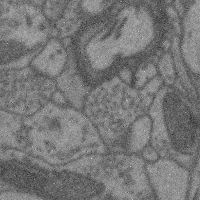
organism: Mouse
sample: Cerebral cortex